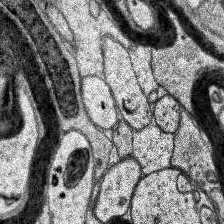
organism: Human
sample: Temporal Lobe